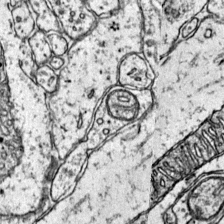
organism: Mouse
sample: Primary visual cortex